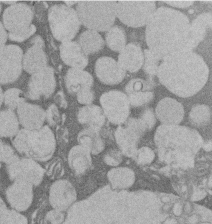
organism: Rat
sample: Salivary granule